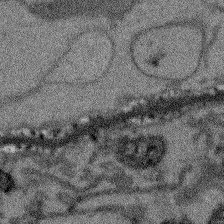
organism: Arabidopsis thaliana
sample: Root tip